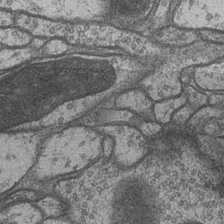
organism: Drosophila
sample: Optic medulla